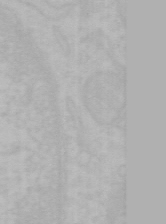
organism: Mouse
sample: Choroid plexus